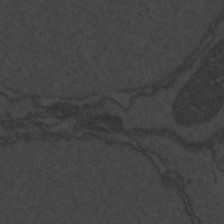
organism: Zebrafish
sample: Macrophage infected with Toxoplasma gondii